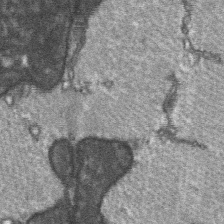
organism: C57BL Mouse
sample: Soleus